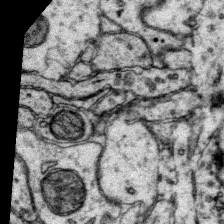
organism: Mouse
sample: Primary visual cortex